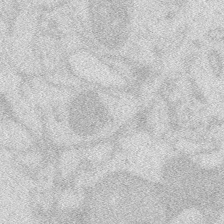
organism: Zebrafish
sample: Macrophage